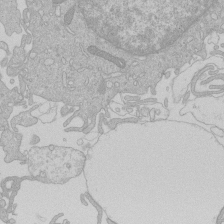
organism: Human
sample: Macrophage cells